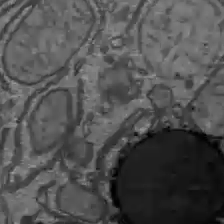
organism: C57BL Mouse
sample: Liver